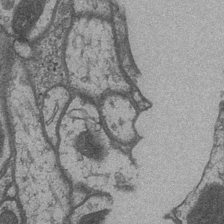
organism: Drosophila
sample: Optic medulla